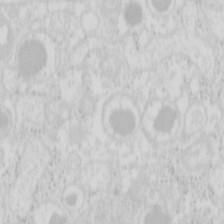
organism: Mouse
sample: Pancreas